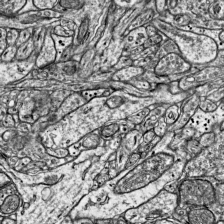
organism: Mouse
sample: Visual Cortex